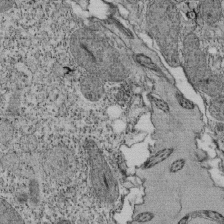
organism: Tetrahymena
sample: Cilia in tetrahymena